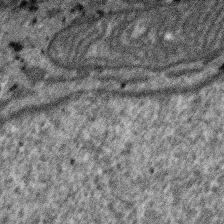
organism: Human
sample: Lung epithelial cells infected with SARS-CoV-2